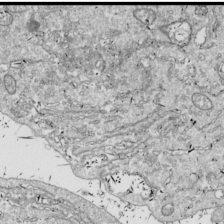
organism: Drosophila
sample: Cell division; meiosis; drosophila spermatocytes